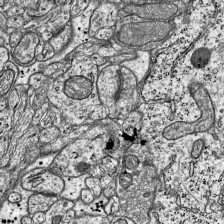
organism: Mouse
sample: Visual Cortex